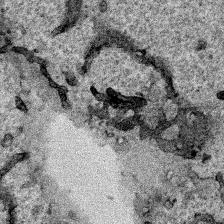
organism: Human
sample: Mitochondria in HCT116 cells